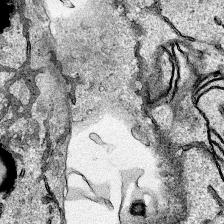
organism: Human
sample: Mitochondria in HCT116 cells